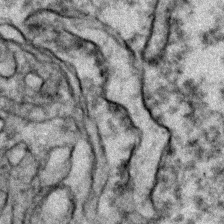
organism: Zebrafish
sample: Zebrafish embryo